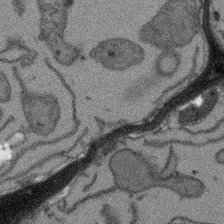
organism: Arabidopsis thaliana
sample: Root tip